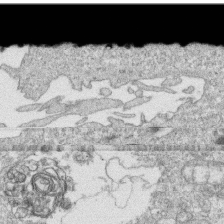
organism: Human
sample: HeLa cell HIV synapse